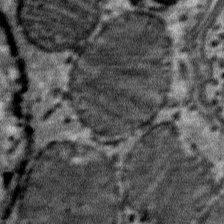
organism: Mouse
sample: Mouse Salivary gland